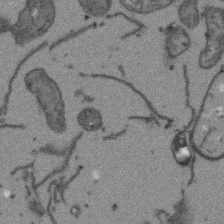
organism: Arabidopsis thaliana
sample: Root tip